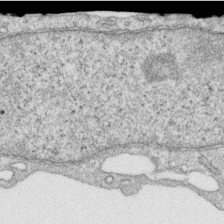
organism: Human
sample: Centriole in RPE cells